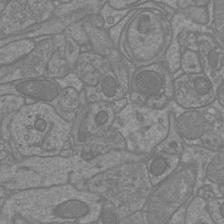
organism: Mouse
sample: Cortical neurons